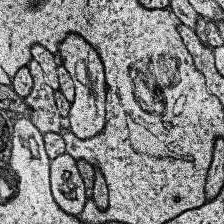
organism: Human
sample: Temporal Lobe